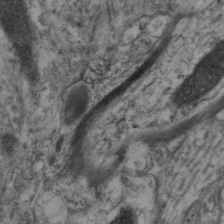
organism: Mouse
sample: Neocortex